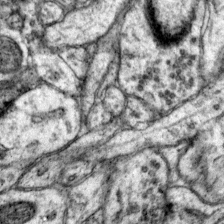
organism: Mouse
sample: Primary visual cortex